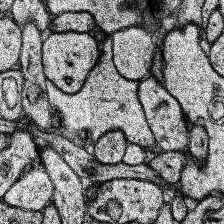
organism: Human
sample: Temporal Lobe